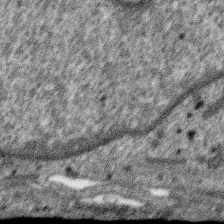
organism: Human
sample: Lung epithelial cells infected with SARS-CoV-2